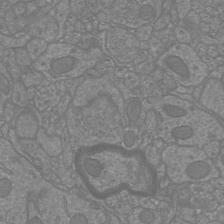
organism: Mouse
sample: Cortical neurons